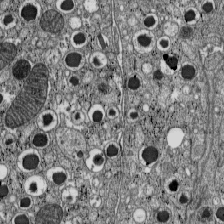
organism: C57BL Mouse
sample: Pancreatic islet